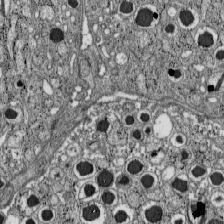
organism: C57BL Mouse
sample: Pancreatic islet